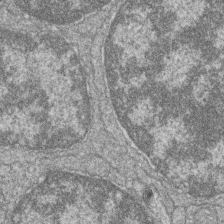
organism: Zebrafish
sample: Cilia; retinal pigment epithelium